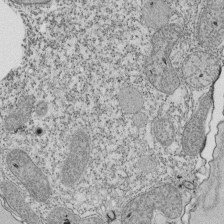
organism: Tetrahymena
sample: Cilia in tetrahymena